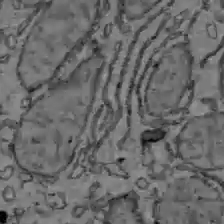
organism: C57BL Mouse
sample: Liver